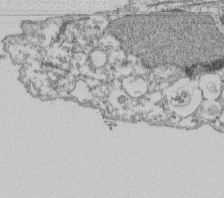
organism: Dictyostelium discoideum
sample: Dictyostelium multivesicular bodies